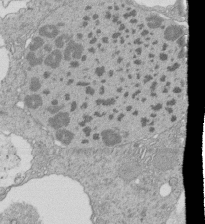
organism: Tetrahymena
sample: Cilia in tetrahymena